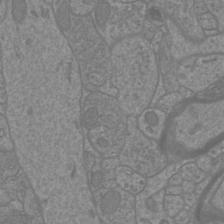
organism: Mouse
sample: Cortical neurons